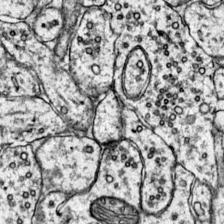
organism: Mouse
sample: Primary visual cortex